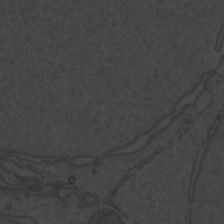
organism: Zebrafish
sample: Macrophage infected with Toxoplasma gondii